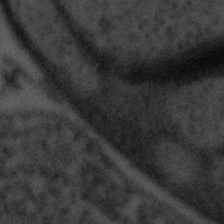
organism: Tuwongella immobilis